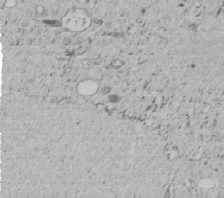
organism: C. elegans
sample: C. elegans embryo early stage